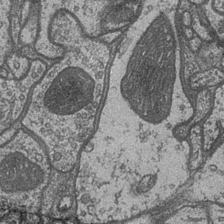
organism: Drosophila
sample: Optic medulla